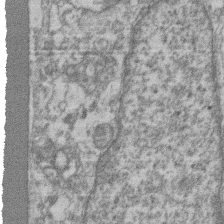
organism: Mouse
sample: T cell stromal cell synapse